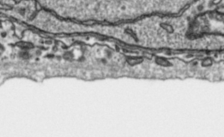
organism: Toxoplasma gondii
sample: Parasites in a vacuole inside a host cell